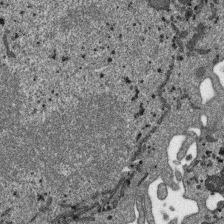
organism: Human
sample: Lung epithelial cells infected with SARS-CoV-2